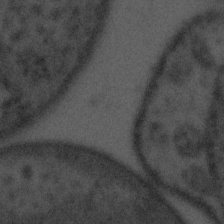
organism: Tuwongella immobilis